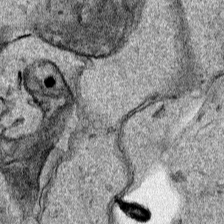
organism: Human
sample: Mitochondria in HCT116 cells